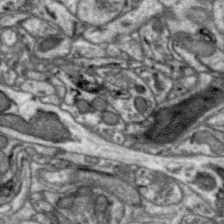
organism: Zebra finch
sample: Brain